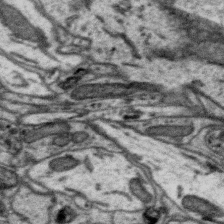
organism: Zebra finch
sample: Brain